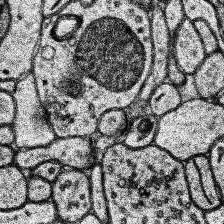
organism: Human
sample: Temporal Lobe